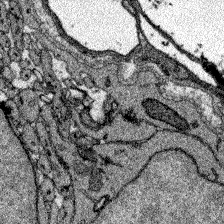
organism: Zebrafish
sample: Larval olfactory bulb